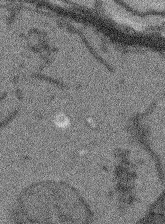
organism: Arabidopsis thaliana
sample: Root tip